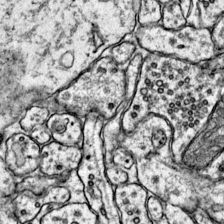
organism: Mouse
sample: Primary visual cortex